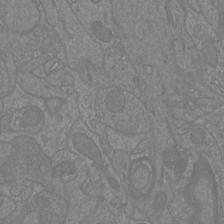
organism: Mouse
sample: Cortical neurons